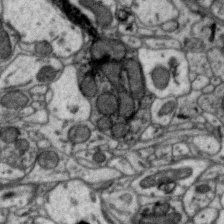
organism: Zebra finch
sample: Brain